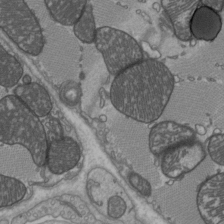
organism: C57BL Mouse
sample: Heart